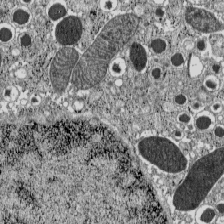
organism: C57BL Mouse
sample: Pancreatic islet